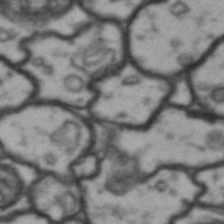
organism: Drosophila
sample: Brain